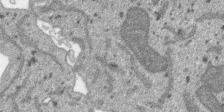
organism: Human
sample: Lung epithelial cells infected with SARS-CoV-2